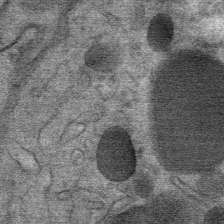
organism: Mouse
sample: Mouse Salivary gland